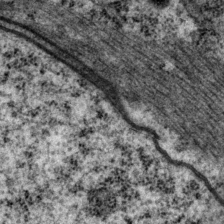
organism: P. pacificus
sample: Pharynx